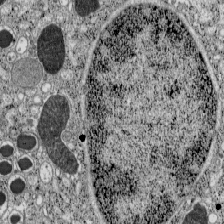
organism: C57BL Mouse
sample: Pancreatic islet